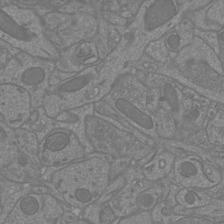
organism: Mouse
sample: Cortical neurons